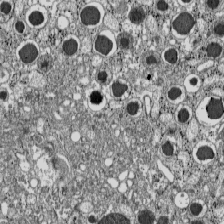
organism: C57BL Mouse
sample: Pancreatic islet